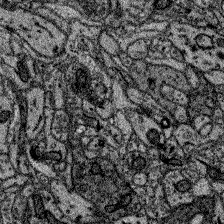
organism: Zebrafish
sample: Larval olfactory bulb